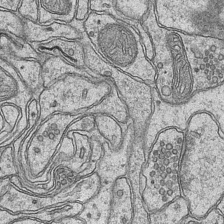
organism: Mouse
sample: CA1 Hippocampus